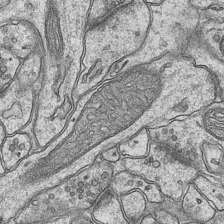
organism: Mouse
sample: CA1 Hippocampus